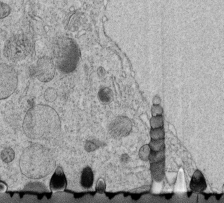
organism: C. elegans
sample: C. elegans embryo early stage